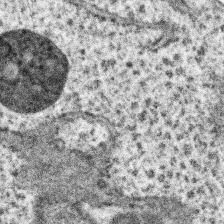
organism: Human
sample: HeLa cells